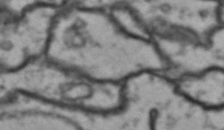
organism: Drosophila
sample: Brain